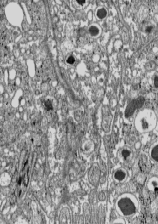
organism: C57BL Mouse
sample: Pancreatic islet